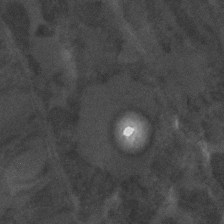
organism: C. elegans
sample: C. elegans embryo